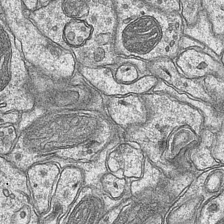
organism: Mouse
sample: CA1 Hippocampus